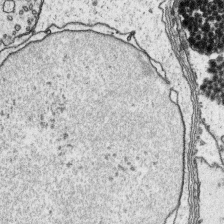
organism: Platynereis dumerilii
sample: Parapodia